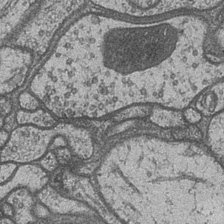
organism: Drosophila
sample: Optic medulla